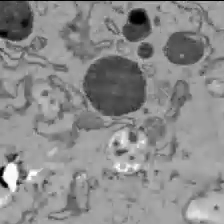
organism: C57BL Mouse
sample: Liver